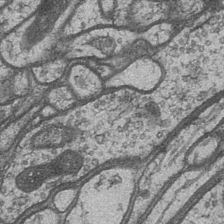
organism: Drosophila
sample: Optic medulla